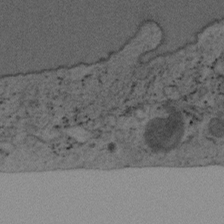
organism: Human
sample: HeLa cells